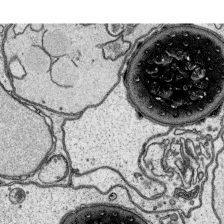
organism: Platynereis dumerilii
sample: Parapodia